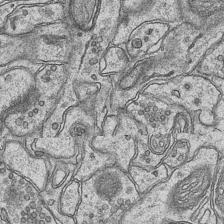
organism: Mouse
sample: CA1 Hippocampus